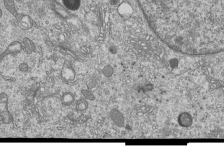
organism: Human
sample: MDA-MB-231 cells